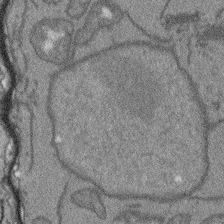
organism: Arabidopsis thaliana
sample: Root tip